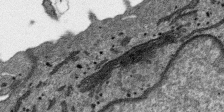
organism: Human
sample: Lung epithelial cells, uninfected (mock) control